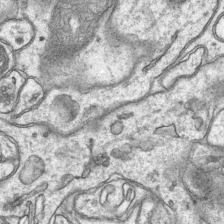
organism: Mouse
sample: CA1 Hippocampus